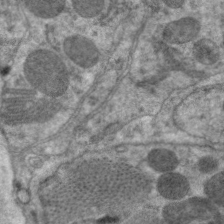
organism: C. elegans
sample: Pharynx